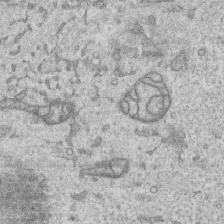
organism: Human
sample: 1205lu cells